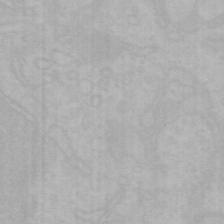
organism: Mouse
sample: Choroid plexus